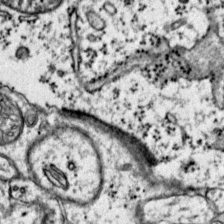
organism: Mouse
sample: Primary visual cortex